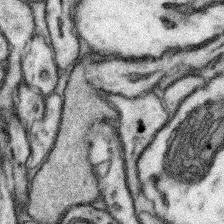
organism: Mouse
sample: Somatosensory cortex neuropil